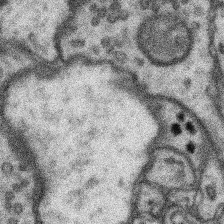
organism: Mouse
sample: Somatosensory cortex neuropil